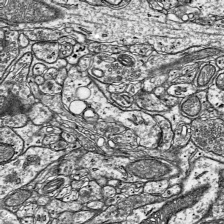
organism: Mouse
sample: Visual Cortex